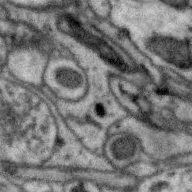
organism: Zebra finch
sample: Brain